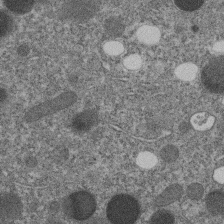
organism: C. elegans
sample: C. elegans embryo early stage